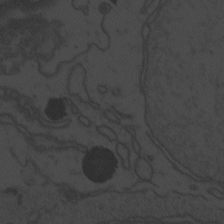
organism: Zebrafish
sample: Macrophage infected with Toxoplasma gondii